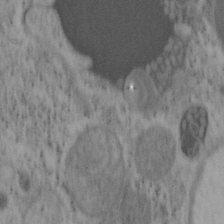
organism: Mouse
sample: OT-I killer T cells with ID8 ovarian cancer cells